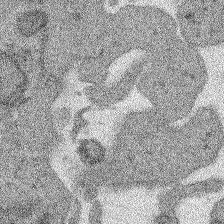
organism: Human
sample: HeLa cells